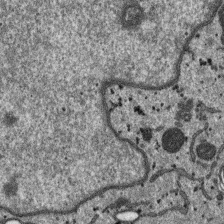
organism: Human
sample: Lung epithelial cells infected with SARS-CoV-2